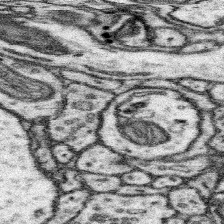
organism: Mouse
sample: Somatosensory cortex neuropil